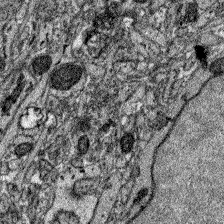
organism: Zebrafish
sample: Larval olfactory bulb